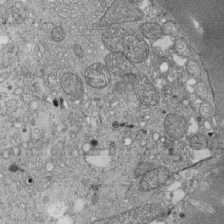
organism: Tetrahymena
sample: Cilia in tetrahymena